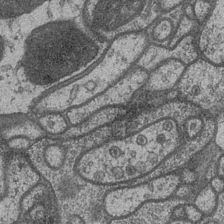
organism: Drosophila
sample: Optic medulla